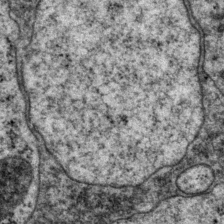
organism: P. pacificus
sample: Pharynx